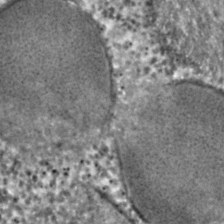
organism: C. elegans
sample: C. elegans embryo